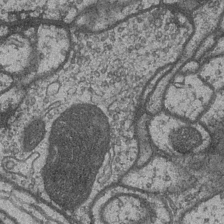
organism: Drosophila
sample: Optic medulla